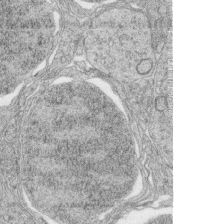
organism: Zebrafish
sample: synaptic ribbons in rod cells and cone cells